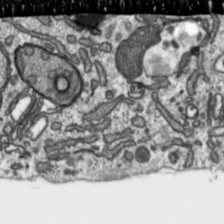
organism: Toxoplasma gondii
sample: Parasites in a vacuole inside a host cell